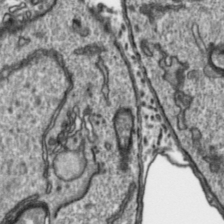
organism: Toxoplasma gondii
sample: Parasites in a vacuole inside a host cell